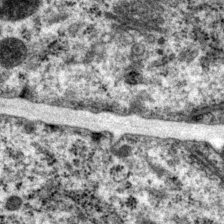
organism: P. pacificus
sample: Pharynx